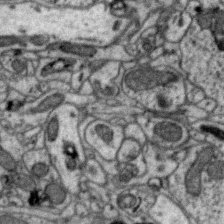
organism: Zebra finch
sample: Brain